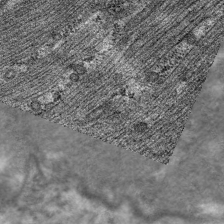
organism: C. elegans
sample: Pharynx